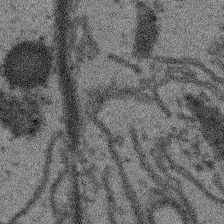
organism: Arabidopsis thaliana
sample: Root tip